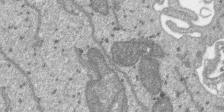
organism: Human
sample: Lung epithelial cells infected with SARS-CoV-2